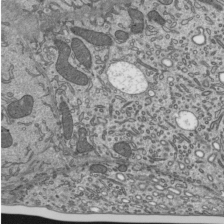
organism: Mouse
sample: Mouse epididymis efferent ductule cilia